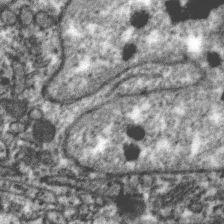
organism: Zebra finch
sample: Brain